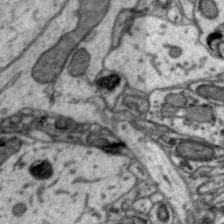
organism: Zebra finch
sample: Brain